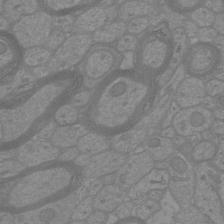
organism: Mouse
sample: Cortical neurons